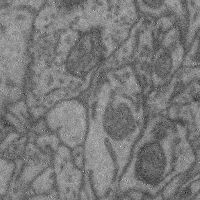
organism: Mouse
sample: Cerebral cortex